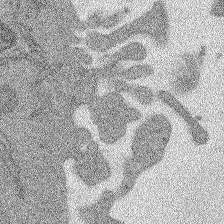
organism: Human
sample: HeLa cells